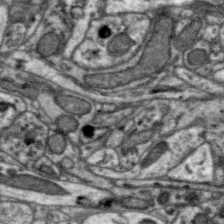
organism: Zebra finch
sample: Brain